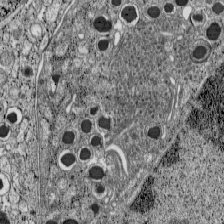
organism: C57BL Mouse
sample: Pancreatic islet